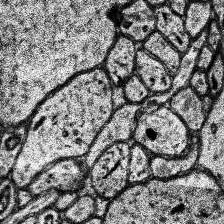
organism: Human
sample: Temporal Lobe